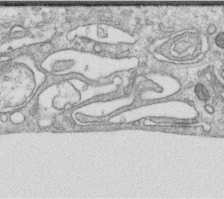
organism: Human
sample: Centriole in RPE cells